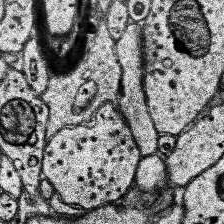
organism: Human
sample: Temporal Lobe